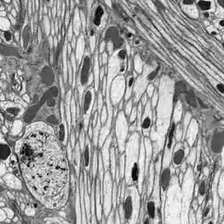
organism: Drosophila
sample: Optic lobe